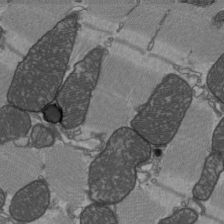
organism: C57BL Mouse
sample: Heart